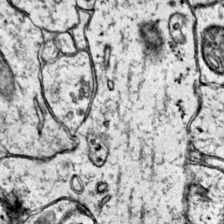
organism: Mouse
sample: Primary visual cortex